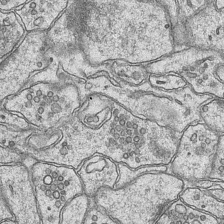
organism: Mouse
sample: CA1 Hippocampus